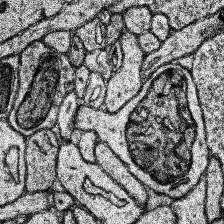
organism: Human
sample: Temporal Lobe